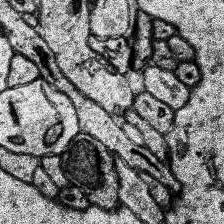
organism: Human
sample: Temporal Lobe